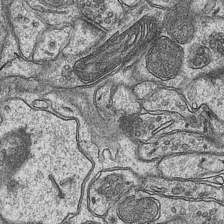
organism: Mouse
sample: CA1 Hippocampus